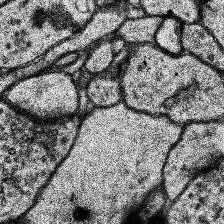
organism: Human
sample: Temporal Lobe